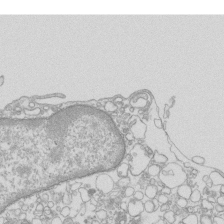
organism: Mouse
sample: Macrophages